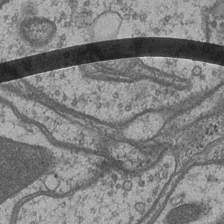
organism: Drosophila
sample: Optic medulla